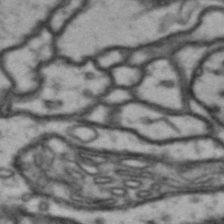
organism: Drosophila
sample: Brain